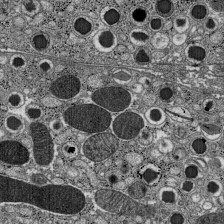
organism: C57BL Mouse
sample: Pancreatic islet